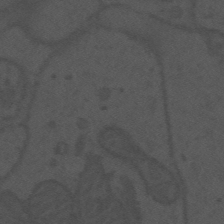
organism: Mouse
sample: Suprachiasmatic nucleus